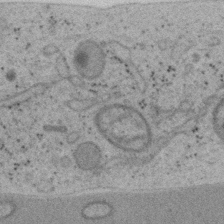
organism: Human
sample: HeLa cells